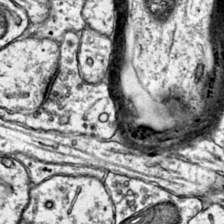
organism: Mouse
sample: Primary visual cortex